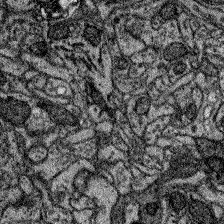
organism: Zebrafish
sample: Larval olfactory bulb